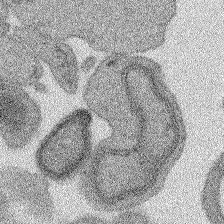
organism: Human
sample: HeLa cells